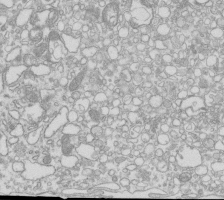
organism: Mouse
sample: Macrophages